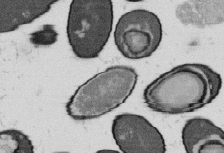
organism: B. subtilis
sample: Bacterial spore